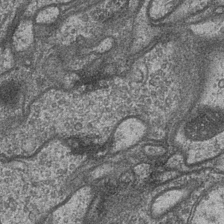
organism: Drosophila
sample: Optic medulla